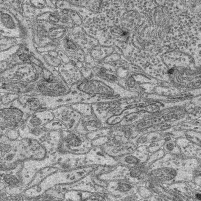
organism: Mouse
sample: Retina